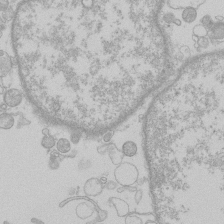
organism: Human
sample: Macrophage cells